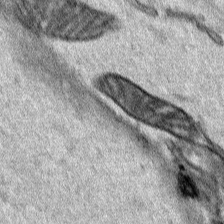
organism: Human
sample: Mitochondria in HCT116 cells